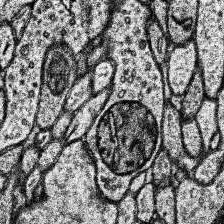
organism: Human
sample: Temporal Lobe